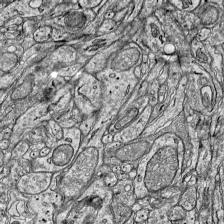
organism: Mouse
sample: Visual Cortex